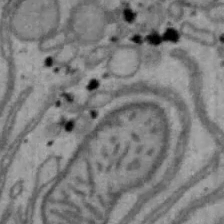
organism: Mouse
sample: Liver